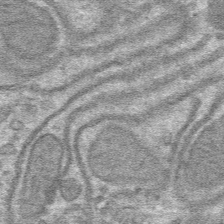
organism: Mouse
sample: Mouse hepatocytes